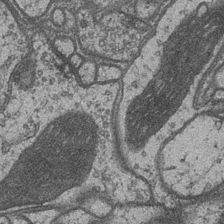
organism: Drosophila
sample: Optic medulla